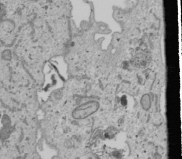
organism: Human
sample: Mitochondria in U2OS cells